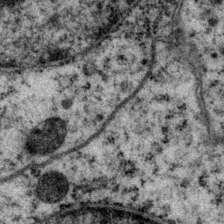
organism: P. pacificus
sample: Pharynx